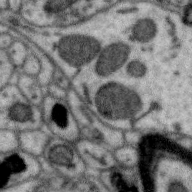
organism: Zebra finch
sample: Brain